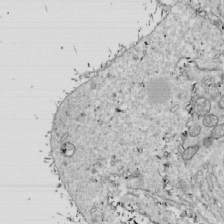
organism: Drosophila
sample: Cell division; meiosis; drosophila spermatocytes